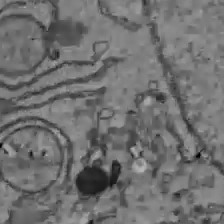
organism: C57BL Mouse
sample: Liver